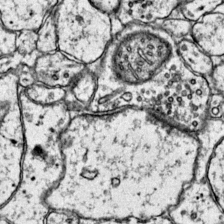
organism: Mouse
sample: Primary visual cortex